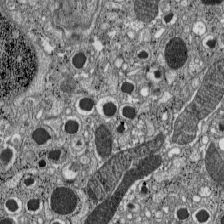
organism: C57BL Mouse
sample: Pancreatic islet